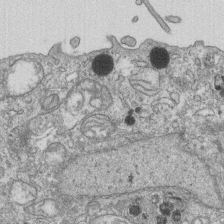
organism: Human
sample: HeLa cell HIV synapse